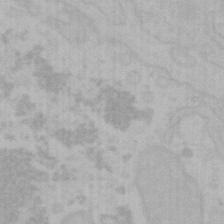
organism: Mouse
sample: Choroid plexus